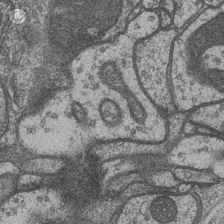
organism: Drosophila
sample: Optic medulla